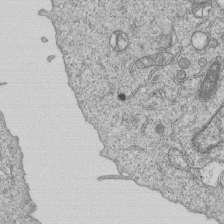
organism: Human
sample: MDA-MB-231 cells